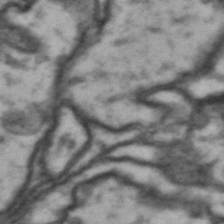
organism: Drosophila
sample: Brain